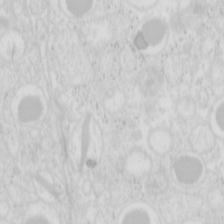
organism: Mouse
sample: Pancreas